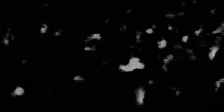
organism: Human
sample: Lung epithelial cells, uninfected (mock) control